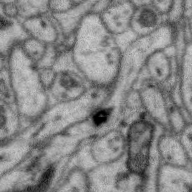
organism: Zebra finch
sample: Brain